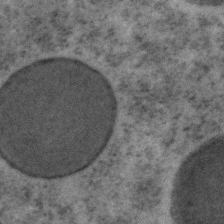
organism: C. elegans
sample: C. elegans embryo